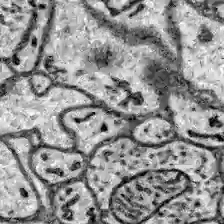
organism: Zebrafish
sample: Brain